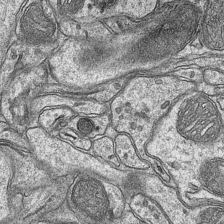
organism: Mouse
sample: CA1 Hippocampus